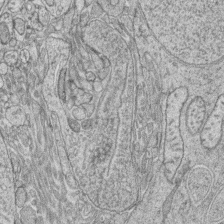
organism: Zebrafish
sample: synaptic ribbons in rod cells and cone cells